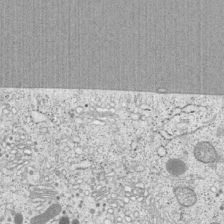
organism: African green monkey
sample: COS-7 cells